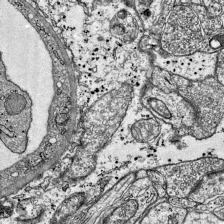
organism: Mouse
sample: Visual Cortex